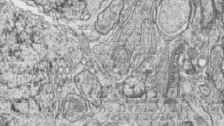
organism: Zebrafish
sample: synaptic ribbons in rod cells and cone cells